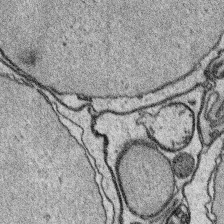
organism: Platynereis dumerilii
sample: Parapodia